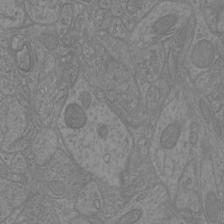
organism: Mouse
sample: Cortical neurons